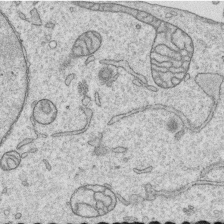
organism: Human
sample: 1205lu cells